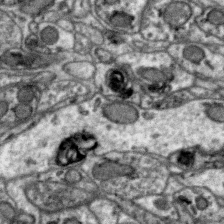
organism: Zebra finch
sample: Brain